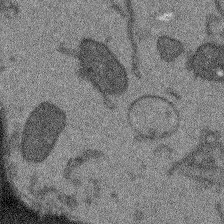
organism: Arabidopsis thaliana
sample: Root tip